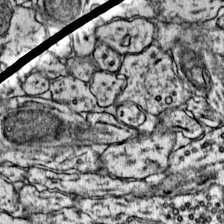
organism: Mouse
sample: Primary visual cortex